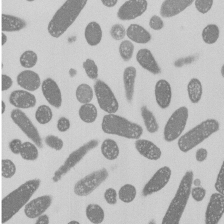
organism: E. coli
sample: Bacterial nucleoid